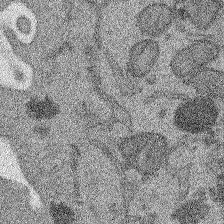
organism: Human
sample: HeLa cells